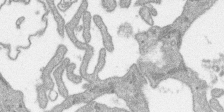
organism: Human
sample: Lung epithelial cells infected with SARS-CoV-2